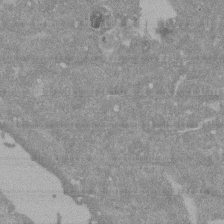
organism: Mouse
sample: ED-1 cell nuclei; centrioles